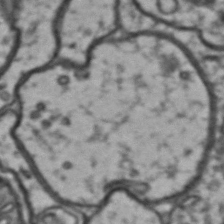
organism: Drosophila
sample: Brain